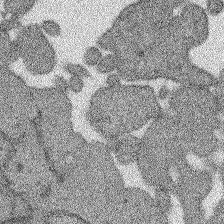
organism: Human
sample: HeLa cells